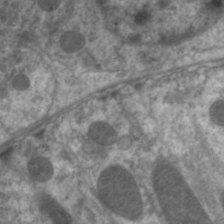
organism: C. elegans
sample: Pharynx